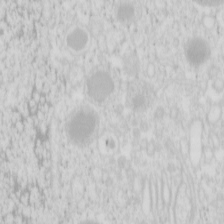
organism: Mouse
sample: Pancreas